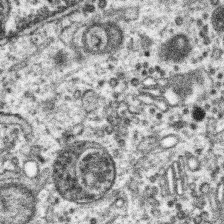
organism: Human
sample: HeLa cells